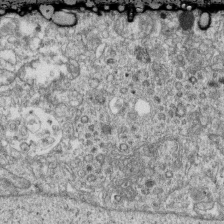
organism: Human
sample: HeLa cell HIV synapse